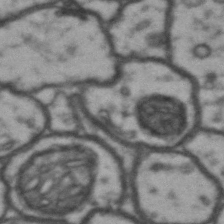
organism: Drosophila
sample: Brain